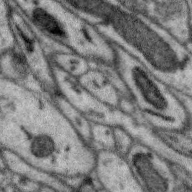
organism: Zebra finch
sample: Brain